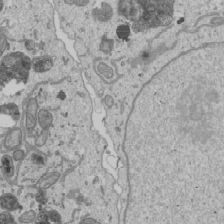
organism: Human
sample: Mitochondria in U2OS cells